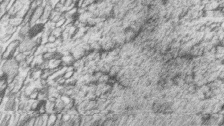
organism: Zebrafish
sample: synaptic ribbons in rod cells and cone cells